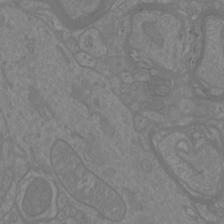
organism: Mouse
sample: Cortical neurons